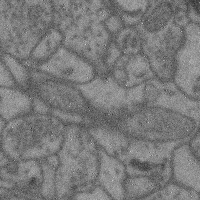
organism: Mouse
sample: Cerebral cortex